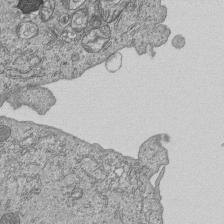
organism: Human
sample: MDA-MB-231 cells